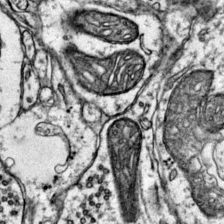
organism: Mouse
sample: Primary visual cortex